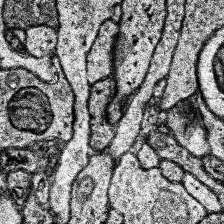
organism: Human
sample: Temporal Lobe